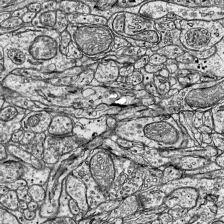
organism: Mouse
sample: Visual Cortex